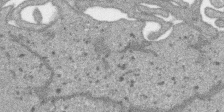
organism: Human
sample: Lung epithelial cells infected with SARS-CoV-2